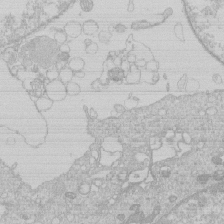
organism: Human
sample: Macrophage cells